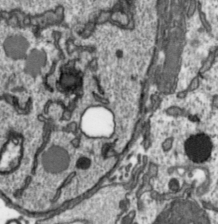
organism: Toxoplasma gondii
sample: Parasites in a vacuole inside a host cell